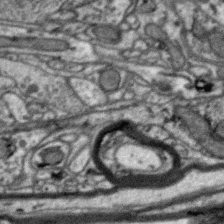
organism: Zebra finch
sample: Brain